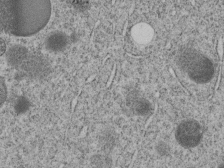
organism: C. elegans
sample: C. elegans embryo early stage